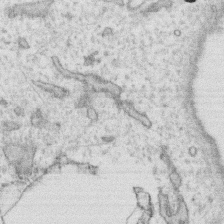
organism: Human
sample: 1205lu cells